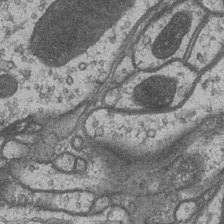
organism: Drosophila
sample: Optic medulla